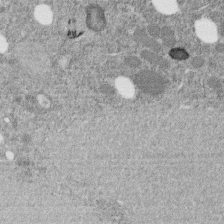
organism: C. elegans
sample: C. elegans embryo early stage